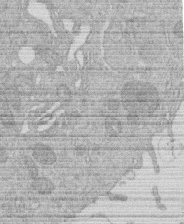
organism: Human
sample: Macrophage cells